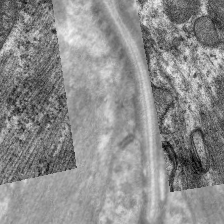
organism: C. elegans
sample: Pharynx